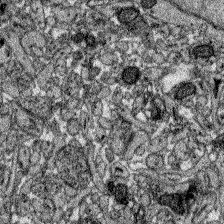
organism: Zebrafish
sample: Larval olfactory bulb